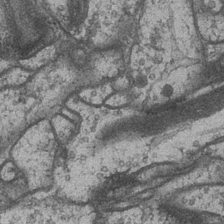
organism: Drosophila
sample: Optic medulla